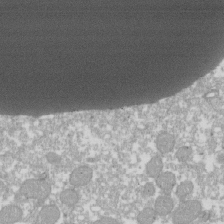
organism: Xenopus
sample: Cilia; centrioles in frog embryo cells